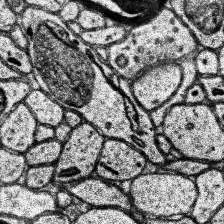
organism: Human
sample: Temporal Lobe